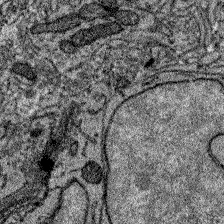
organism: Zebrafish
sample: Larval olfactory bulb